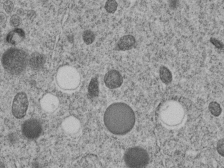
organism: C. elegans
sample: C. elegans embryo early stage